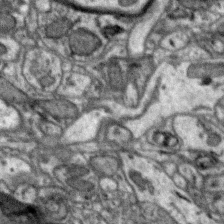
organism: Zebra finch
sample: Brain